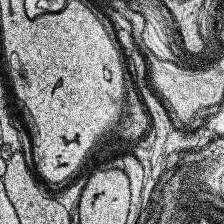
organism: Human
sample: Temporal Lobe